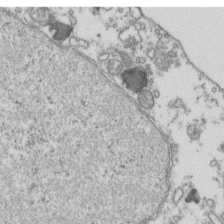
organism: Human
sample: Activated Jurkat CD4+ T cells